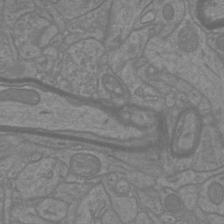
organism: Mouse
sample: Cortical neurons